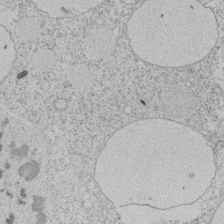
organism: Tetrahymena